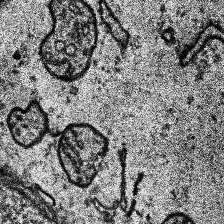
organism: Human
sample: Temporal Lobe